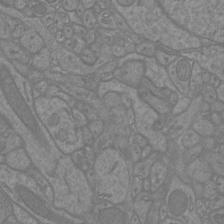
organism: Mouse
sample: Cortical neurons